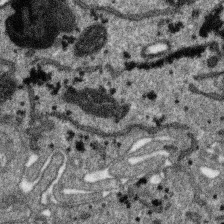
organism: Human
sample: Lung epithelial cells infected with SARS-CoV-2